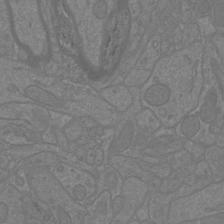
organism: Mouse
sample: Cortical neurons